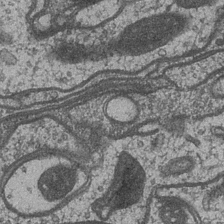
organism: Drosophila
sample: Optic medulla